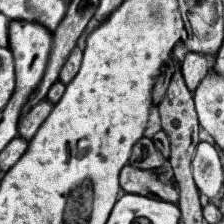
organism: Human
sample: Temporal Lobe